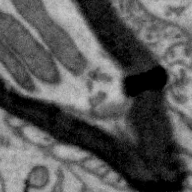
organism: Zebra finch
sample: Brain